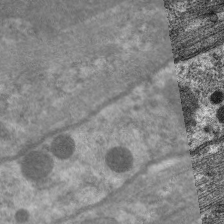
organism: C. elegans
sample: Pharynx